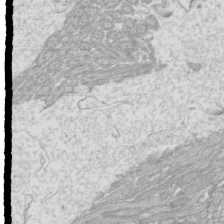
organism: Mouse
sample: Cilia; mouse epididymis